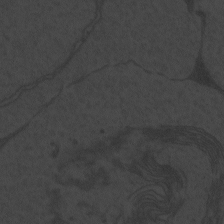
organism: Zebrafish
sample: Macrophage infected with Toxoplasma gondii